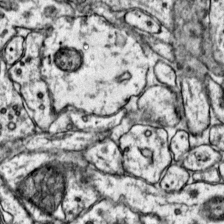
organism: Mouse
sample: Primary visual cortex